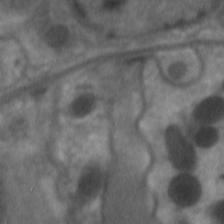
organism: C. elegans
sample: Pharynx